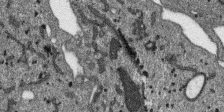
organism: Human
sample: Lung epithelial cells infected with SARS-CoV-2